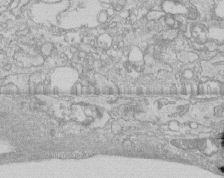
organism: Human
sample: CRL-1474